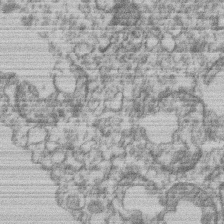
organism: Mouse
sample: T cell stromal cell synapse